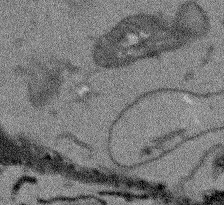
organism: Arabidopsis thaliana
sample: Root tip